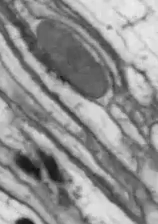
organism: Drosophila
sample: Optic lobe